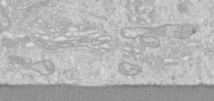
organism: Human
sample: Centriole in RPE cells